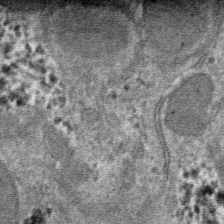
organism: Mouse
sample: Mouse hepatocytes